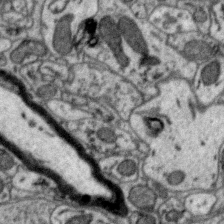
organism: Zebra finch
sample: Brain